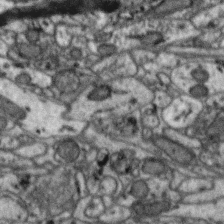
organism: Zebra finch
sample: Brain